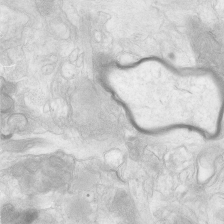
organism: Human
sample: Neocortex